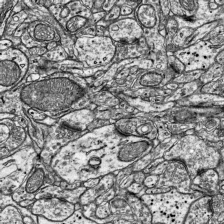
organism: Mouse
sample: Visual Cortex